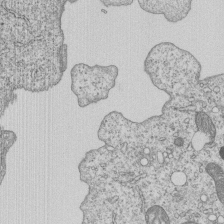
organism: Human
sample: MDA-MB-231 cells